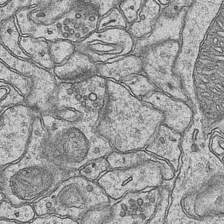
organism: Mouse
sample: CA1 Hippocampus